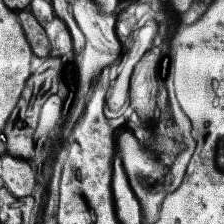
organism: Human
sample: Temporal Lobe